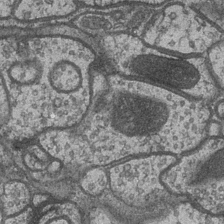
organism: Drosophila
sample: Optic medulla